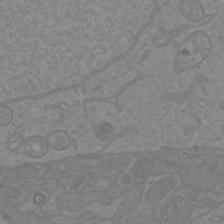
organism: Mouse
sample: Cortical neurons